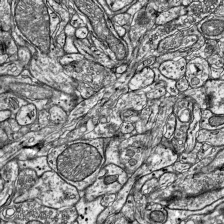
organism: Mouse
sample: Visual Cortex